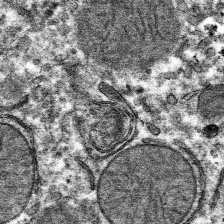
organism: Mouse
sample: Mouse hepatocytes